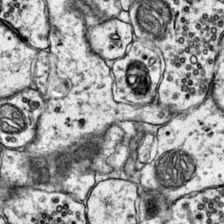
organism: Mouse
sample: Primary visual cortex